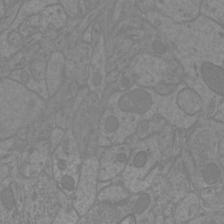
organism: Mouse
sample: Cortical neurons